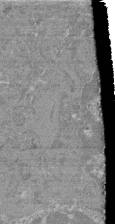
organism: Mouse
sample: Glomerulus